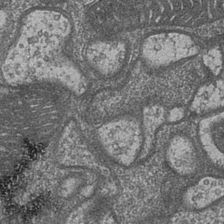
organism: Drosophila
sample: Optic medulla